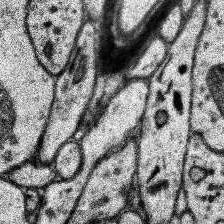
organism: Human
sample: Temporal Lobe